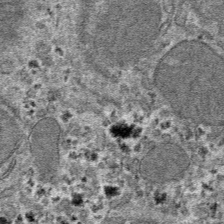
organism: Mouse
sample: Mouse hepatocytes